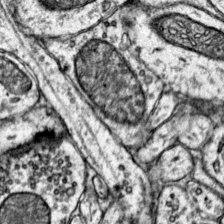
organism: Mouse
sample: Primary visual cortex